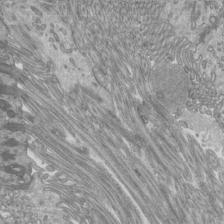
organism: Mouse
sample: Cilia; mouse epididymis